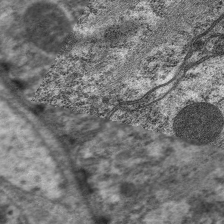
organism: C. elegans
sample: Pharynx